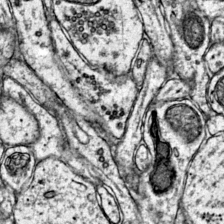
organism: Mouse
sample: Primary visual cortex